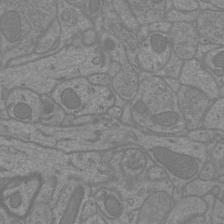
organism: Mouse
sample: Cortical neurons